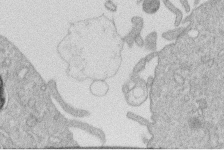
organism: Human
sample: Macrophage cells